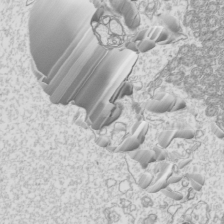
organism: Mouse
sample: Cilia; mouse epididymis